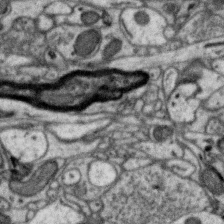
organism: Zebra finch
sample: Brain